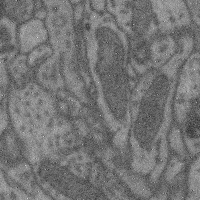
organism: Mouse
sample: Cerebral cortex